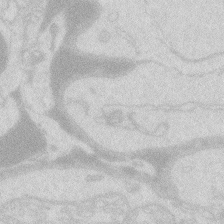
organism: Zebrafish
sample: Macrophage